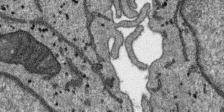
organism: Human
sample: Lung epithelial cells, uninfected (mock) control